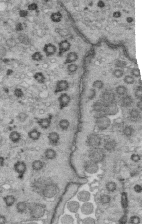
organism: Mouse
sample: Multiciliated cells